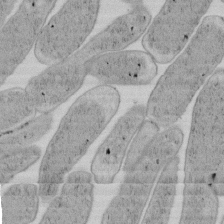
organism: E. coli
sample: Bacterial nucleoid